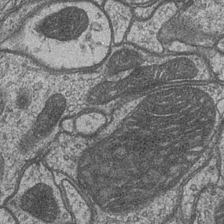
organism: Drosophila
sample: Optic medulla